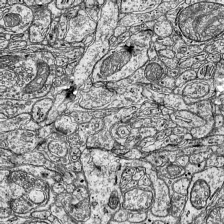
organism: Mouse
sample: Visual Cortex